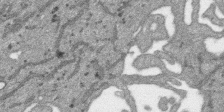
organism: Human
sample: Lung epithelial cells infected with SARS-CoV-2